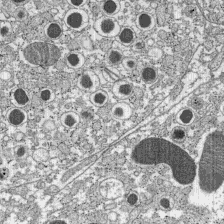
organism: C57BL Mouse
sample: Pancreatic islet